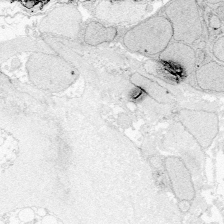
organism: Zebrafish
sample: Whole-Brain